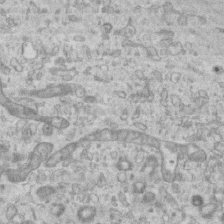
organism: Mouse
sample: Centriole in ependymal cells